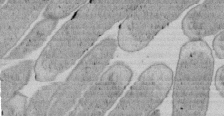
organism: E. coli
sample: Bacterial nucleoid